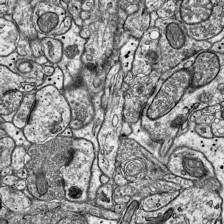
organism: Mouse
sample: Visual Cortex